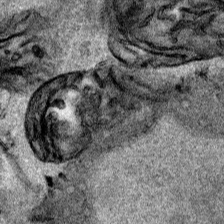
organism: Human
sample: Mitochondria in HCT116 cells